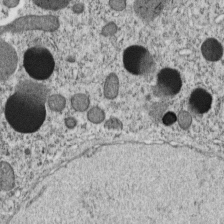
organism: C. elegans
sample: C. elegans embryo early stage